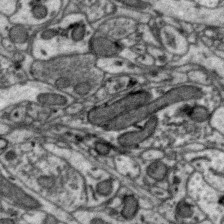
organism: Zebra finch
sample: Brain